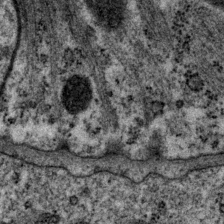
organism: P. pacificus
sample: Pharynx